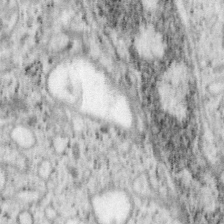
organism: Mouse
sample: OT-I killer T cells with ID8 ovarian cancer cells